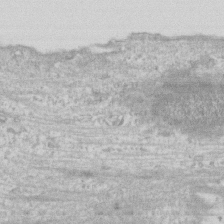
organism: Human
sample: Fibroblast cells